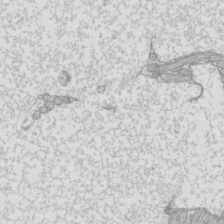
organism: Mouse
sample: Cilia; mouse epididymis